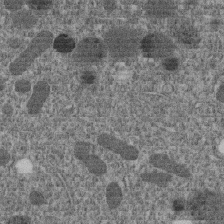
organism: C. elegans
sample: C. elegans embryo early stage